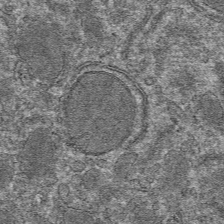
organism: Mouse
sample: Mouse hepatocytes